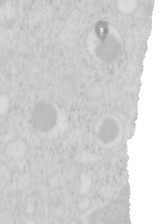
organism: Mouse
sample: Pancreas